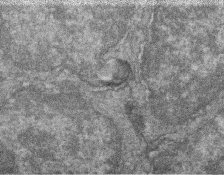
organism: Zebrafish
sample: Cilia; retinal pigment epithelium